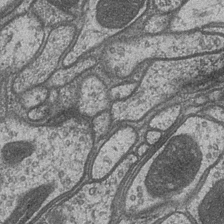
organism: Drosophila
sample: Optic medulla